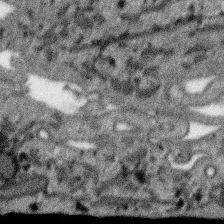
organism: Human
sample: Lung epithelial cells infected with SARS-CoV-2